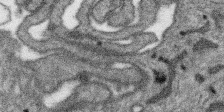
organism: Human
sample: Lung epithelial cells infected with SARS-CoV-2